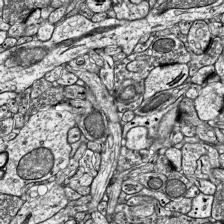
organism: Mouse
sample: Visual Cortex